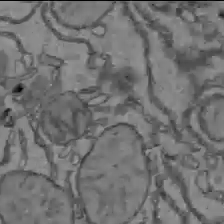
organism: C57BL Mouse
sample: Liver